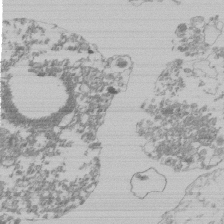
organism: Mouse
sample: Activated Pmel transgenic CD8+ T Cells